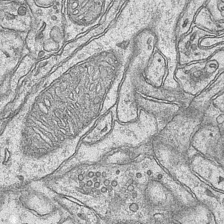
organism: Mouse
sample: CA1 Hippocampus